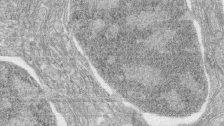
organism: Zebrafish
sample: synaptic ribbons in rod cells and cone cells